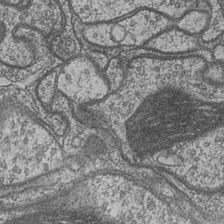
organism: Drosophila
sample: Optic medulla